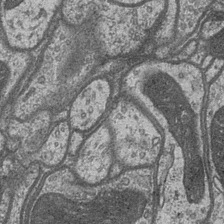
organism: Drosophila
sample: Optic medulla